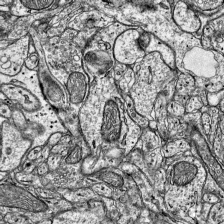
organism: Mouse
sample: Visual Cortex